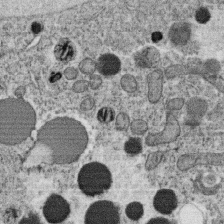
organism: C. elegans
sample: C. elegans oocyte; sperm cells